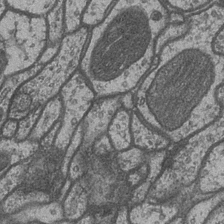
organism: Drosophila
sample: Optic medulla